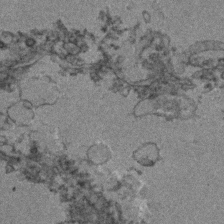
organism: Zebrafish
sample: Zebrafish embryo